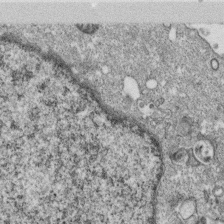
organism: African green monkey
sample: Vero E6 cells infected with SARS-CoV-2